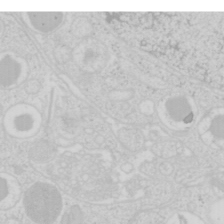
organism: Mouse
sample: Pancreas